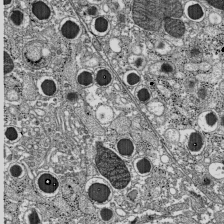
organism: C57BL Mouse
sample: Pancreatic islet